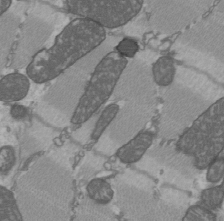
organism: C57BL Mouse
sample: Heart